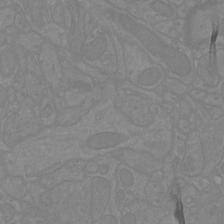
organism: Mouse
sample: Cortical neurons